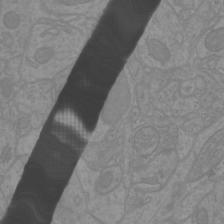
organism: Mouse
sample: Cortical neurons